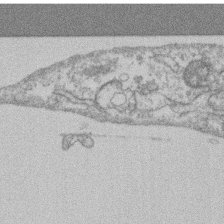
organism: Mouse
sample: T cell stromal cell synapse